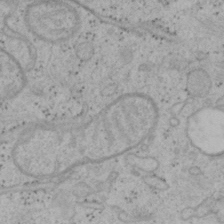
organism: Human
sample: HeLa cells